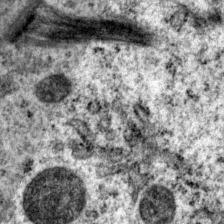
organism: P. pacificus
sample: Pharynx